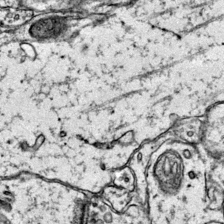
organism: Mouse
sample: Primary visual cortex